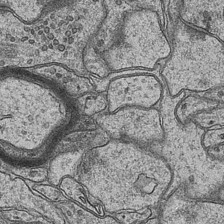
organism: Mouse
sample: CA1 Hippocampus